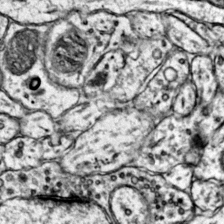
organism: Mouse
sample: Primary visual cortex